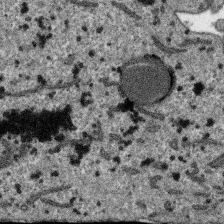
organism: Human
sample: Lung epithelial cells infected with SARS-CoV-2